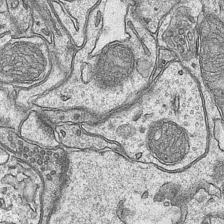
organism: Mouse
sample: CA1 Hippocampus